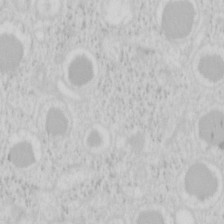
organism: Mouse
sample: Pancreas